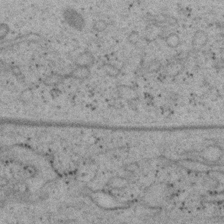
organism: Human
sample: HeLa cells